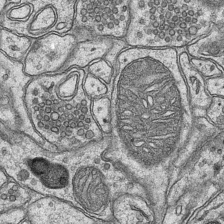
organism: Mouse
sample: CA1 Hippocampus